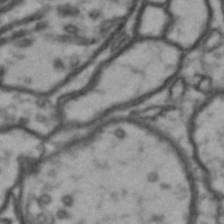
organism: Drosophila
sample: Brain